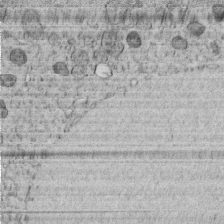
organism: C. elegans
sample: C. elegans embryo early stage